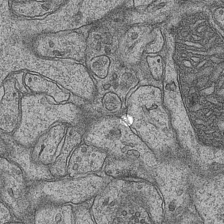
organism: Mouse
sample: CA1 Hippocampus